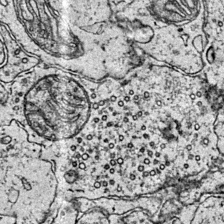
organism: Mouse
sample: Primary visual cortex